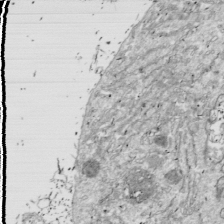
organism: Drosophila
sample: Cell division; meiosis; drosophila spermatocytes